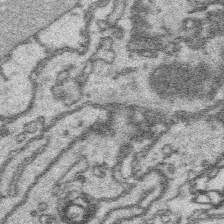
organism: Platynereis dumerilii